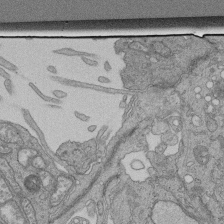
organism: Human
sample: Retinal organoid Rod and Cone cells